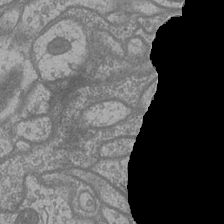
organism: Drosophila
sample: Optic medulla